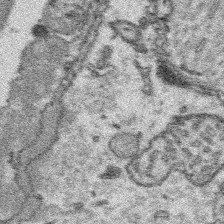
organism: Platynereis dumerilii